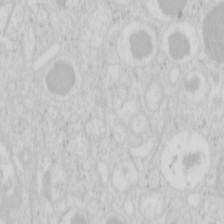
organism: Mouse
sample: Pancreas